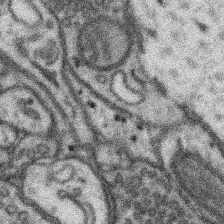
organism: Mouse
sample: Somatosensory cortex neuropil